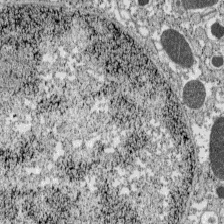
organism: C57BL Mouse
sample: Pancreatic islet